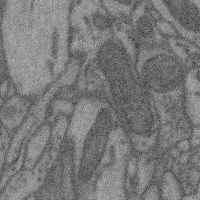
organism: Mouse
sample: Cerebral cortex